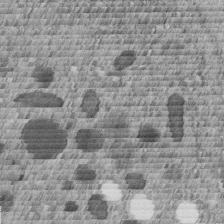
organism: C. elegans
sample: C. elegans embryo early stage